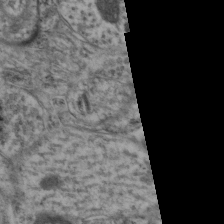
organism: Mouse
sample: Neocortex